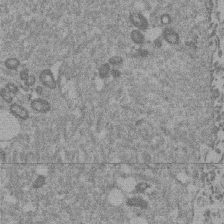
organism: Mouse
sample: Dividing mouse embryo 1 cell stage